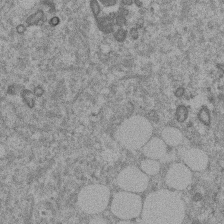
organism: Mouse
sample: Dividing mouse embryo 1 cell stage